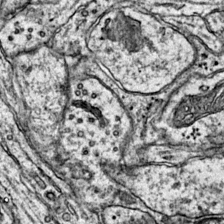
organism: Mouse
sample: Primary visual cortex